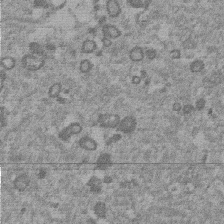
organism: Mouse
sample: Dividing mouse embryo 1 cell stage